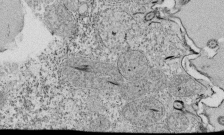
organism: Tetrahymena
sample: Cilia in tetrahymena